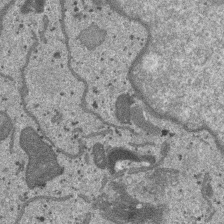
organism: Human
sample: Lung epithelial cells infected with SARS-CoV-2